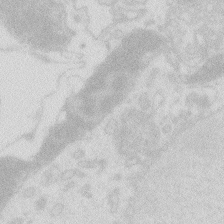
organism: Zebrafish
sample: Macrophage